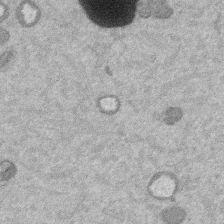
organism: Mouse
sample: Dividing mouse embryo 1 cell stage